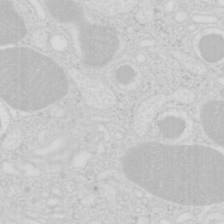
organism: Mouse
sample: Pancreas